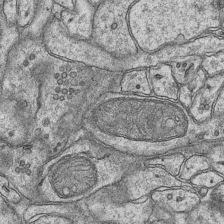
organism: Mouse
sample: CA1 Hippocampus